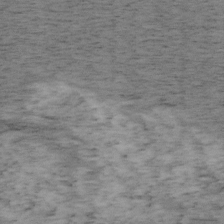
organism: Mouse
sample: OT-I killer T cells with ID8 ovarian cancer cells